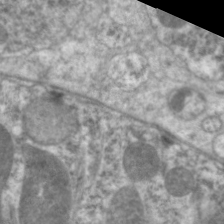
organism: C. elegans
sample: Pharynx